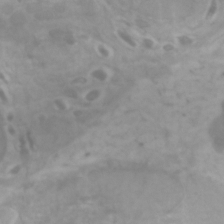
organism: Zebrafish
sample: Zebrafish embryo